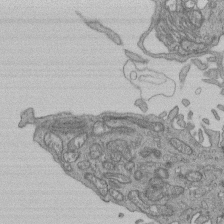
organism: Human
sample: Retinal organoid Rod and Cone cells